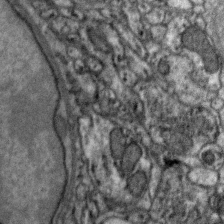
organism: Zebra finch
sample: Brain